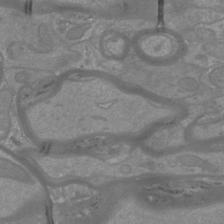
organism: Mouse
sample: Cortical neurons